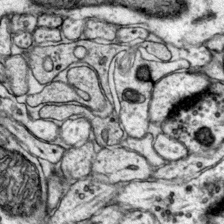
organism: Mouse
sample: Primary visual cortex